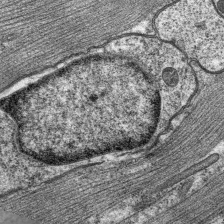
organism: C. elegans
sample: Pharynx